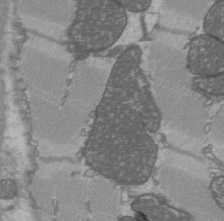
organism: C57BL Mouse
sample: Heart